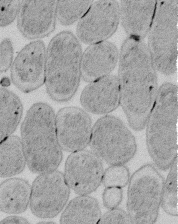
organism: E. coli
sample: Bacterial nucleoid